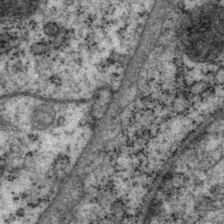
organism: P. pacificus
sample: Pharynx